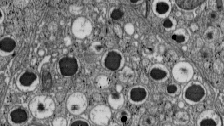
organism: C57BL Mouse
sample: Pancreatic islet